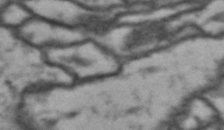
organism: Drosophila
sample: Brain